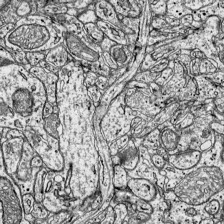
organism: Mouse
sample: Visual Cortex